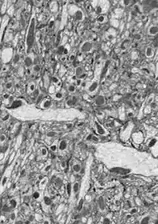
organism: Drosophila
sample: Optic lobe